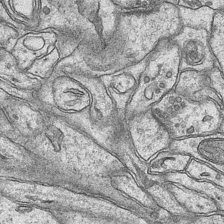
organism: Mouse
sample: CA1 Hippocampus